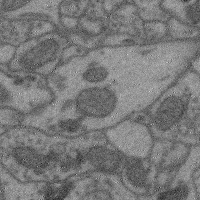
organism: Mouse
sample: Cerebral cortex